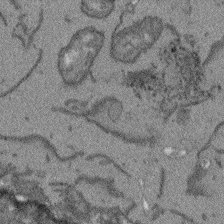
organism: Arabidopsis thaliana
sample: Root tip